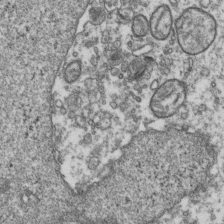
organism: Human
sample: Activated Jurkat CD4+ T cells